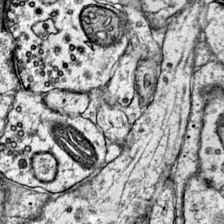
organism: Mouse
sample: Primary visual cortex